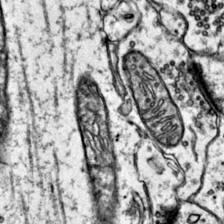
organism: Mouse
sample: Primary visual cortex